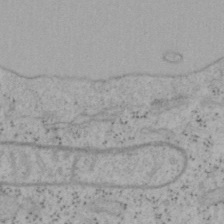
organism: Human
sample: HeLa cells